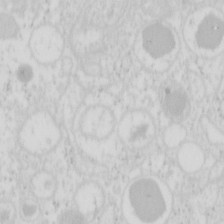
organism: Mouse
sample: Pancreas